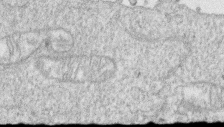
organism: Human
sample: HeLa cell HIV synapse